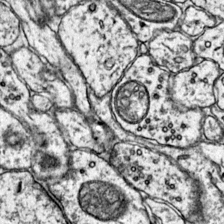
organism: Mouse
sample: Primary visual cortex